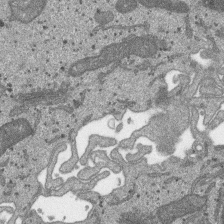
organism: Human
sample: Lung epithelial cells infected with SARS-CoV-2